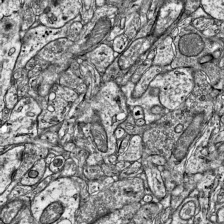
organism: Mouse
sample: Visual Cortex